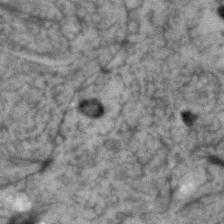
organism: Human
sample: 1205lu cells